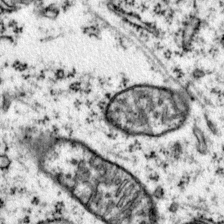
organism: Mouse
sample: Primary visual cortex